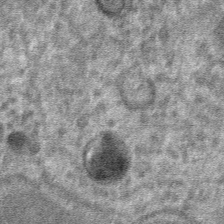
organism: Mouse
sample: Mouse hepatocytes